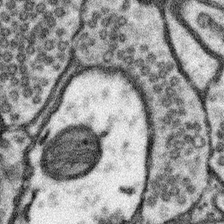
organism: Mouse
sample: Somatosensory cortex neuropil